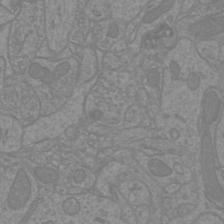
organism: Mouse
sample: Cortical neurons